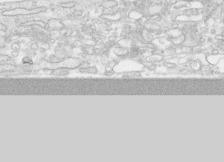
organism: Human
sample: CRL-1474